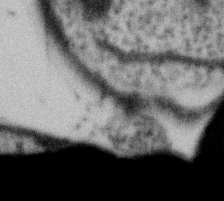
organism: Gemmata obscuriglobus